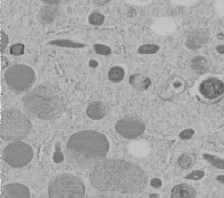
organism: C. elegans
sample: C. elegans embryo early stage